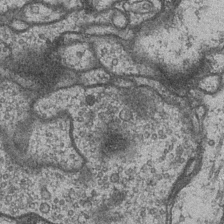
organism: Drosophila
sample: Optic medulla